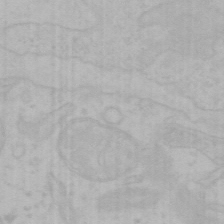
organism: Mouse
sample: Choroid plexus